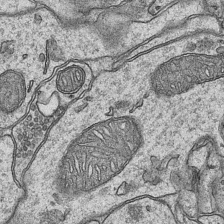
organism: Mouse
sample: CA1 Hippocampus